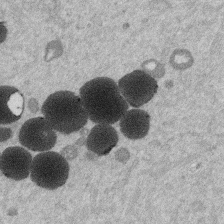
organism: Mouse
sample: Dividing mouse embryo 1 cell stage